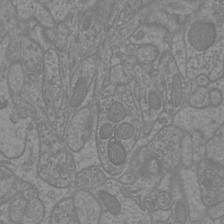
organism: Mouse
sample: Cortical neurons